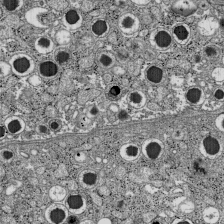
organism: C57BL Mouse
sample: Pancreatic islet